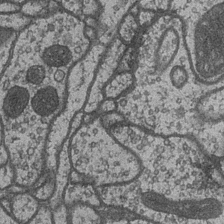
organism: Drosophila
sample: Optic medulla